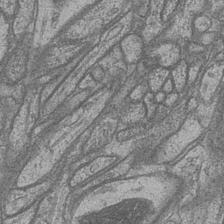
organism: Drosophila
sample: Optic medulla